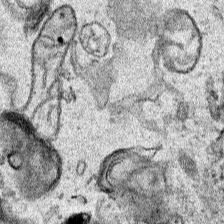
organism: Human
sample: Mitochondria in HCT116 cells